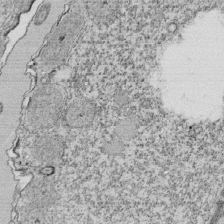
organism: Tetrahymena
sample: Cilia in tetrahymena